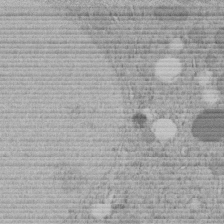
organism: C. elegans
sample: C. elegans embryo early stage